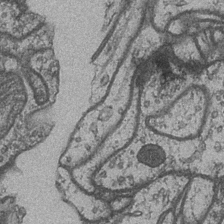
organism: Drosophila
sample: Optic medulla